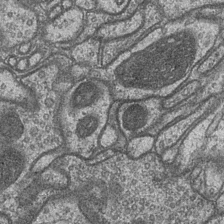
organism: Drosophila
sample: Optic medulla